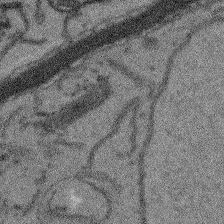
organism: Arabidopsis thaliana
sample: Root tip